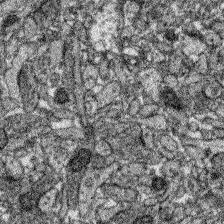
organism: Zebrafish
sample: Larval olfactory bulb